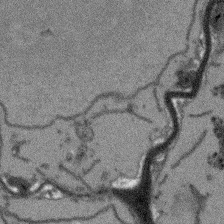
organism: Arabidopsis thaliana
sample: Root tip